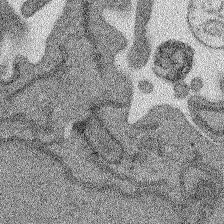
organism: Human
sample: HeLa cells